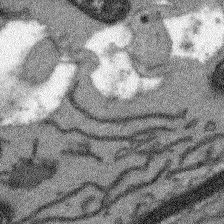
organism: Arabidopsis thaliana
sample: Root tip